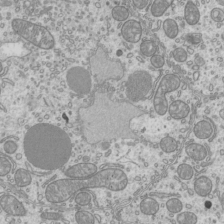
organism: Mouse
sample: Cilia; mouse epididymis